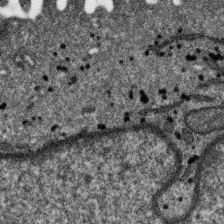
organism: Human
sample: Lung epithelial cells infected with SARS-CoV-2